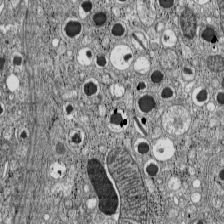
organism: C57BL Mouse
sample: Pancreatic islet